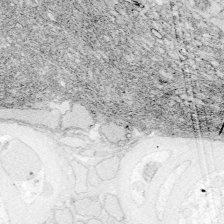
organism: Zebrafish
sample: Whole-Brain